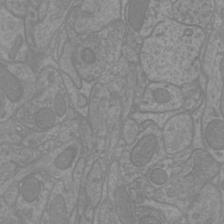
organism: Mouse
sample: Cortical neurons